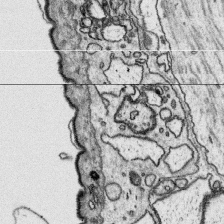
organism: Platynereis dumerilii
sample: Parapodia